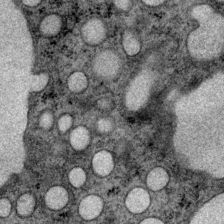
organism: P. pacificus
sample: Pharynx